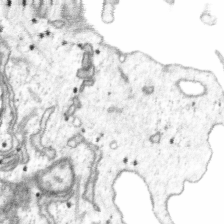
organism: Human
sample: HeLa cells